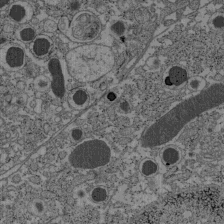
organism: C57BL Mouse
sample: Pancreatic islet